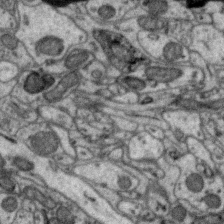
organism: Zebra finch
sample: Brain